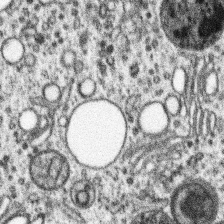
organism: Human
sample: HeLa cells